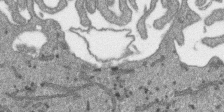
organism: Human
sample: Lung epithelial cells infected with SARS-CoV-2